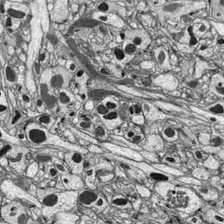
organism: Drosophila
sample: Optic lobe